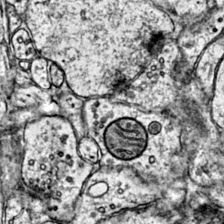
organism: Mouse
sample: Primary visual cortex